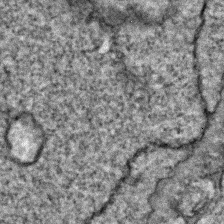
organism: Zebrafish